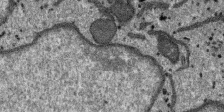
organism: Human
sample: Lung epithelial cells, uninfected (mock) control